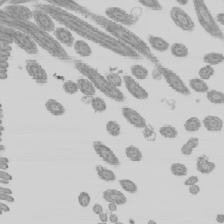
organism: Mouse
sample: Cilia; mouse epididymis